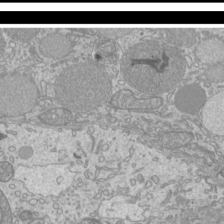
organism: Mouse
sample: Cilia; mouse epididymis